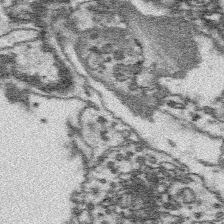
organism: Platynereis dumerilii